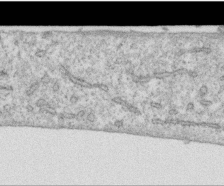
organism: Human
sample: Centriole in RPE cells